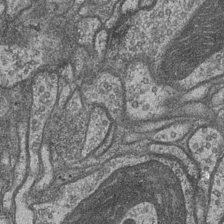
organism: Drosophila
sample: Optic medulla